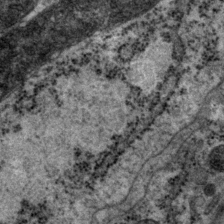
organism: P. pacificus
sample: Pharynx